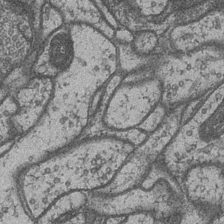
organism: Drosophila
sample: Optic medulla